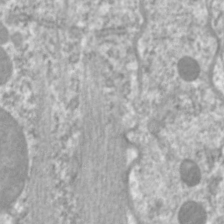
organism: C. elegans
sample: Pharynx